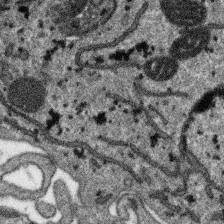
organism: Human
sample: Lung epithelial cells infected with SARS-CoV-2